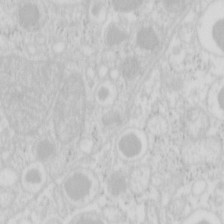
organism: Mouse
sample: Pancreas